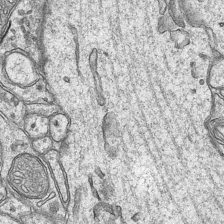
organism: Mouse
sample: CA1 Hippocampus